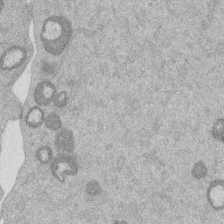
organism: Mouse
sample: Dividing mouse embryo 1 cell stage